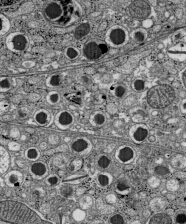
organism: C57BL Mouse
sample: Pancreatic islet